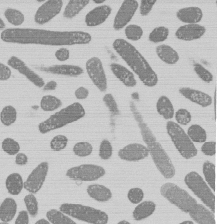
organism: E. coli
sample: Bacterial nucleoid